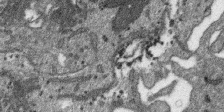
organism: Human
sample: Lung epithelial cells infected with SARS-CoV-2